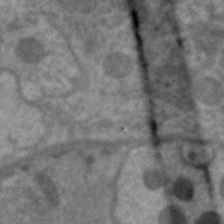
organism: C. elegans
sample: Pharynx